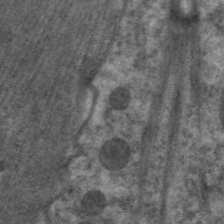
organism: C. elegans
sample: Pharynx